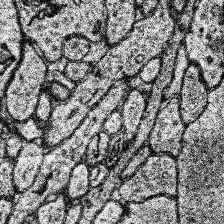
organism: Human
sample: Temporal Lobe